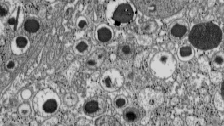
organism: C57BL Mouse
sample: Pancreatic islet